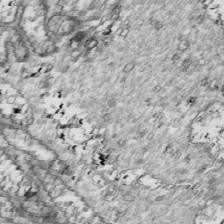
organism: Drosophila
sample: Cell division; meiosis; drosophila spermatocytes